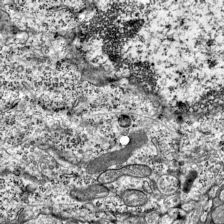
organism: Mouse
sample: Visual Cortex